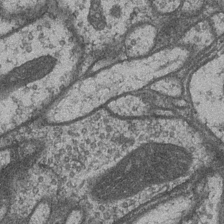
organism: Drosophila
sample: Optic medulla